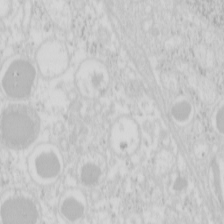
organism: Mouse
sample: Pancreas